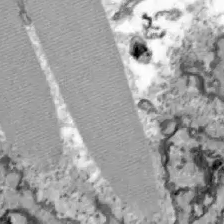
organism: Zebrafish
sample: Actinotrichia fibers